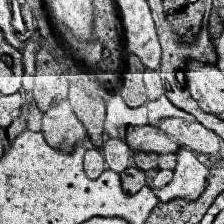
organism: Human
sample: Temporal Lobe